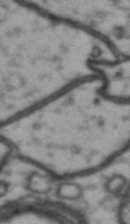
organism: Drosophila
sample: Brain